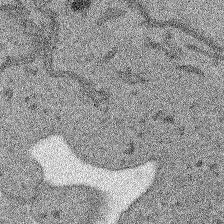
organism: Human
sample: HeLa cells